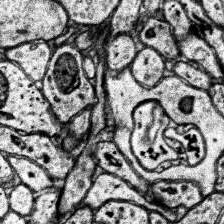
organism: Human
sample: Temporal Lobe